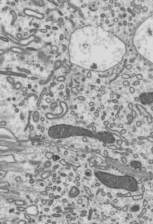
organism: Mouse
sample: Mouse epididymis efferent ductule cilia